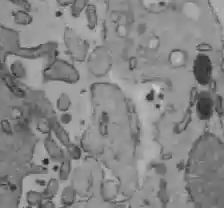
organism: C57BL Mouse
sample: Liver